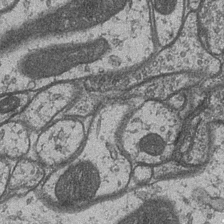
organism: Drosophila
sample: Optic medulla